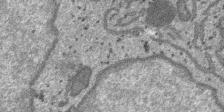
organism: Human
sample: Lung epithelial cells infected with SARS-CoV-2